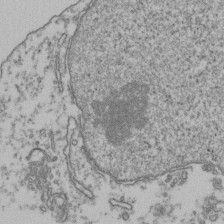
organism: Human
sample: Activated Jurkat CD4+ T cells